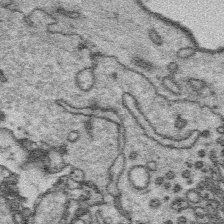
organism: Platynereis dumerilii